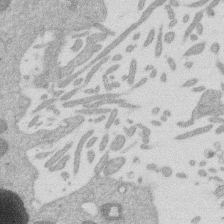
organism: Mouse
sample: Dividing mouse embryo 1 cell stage